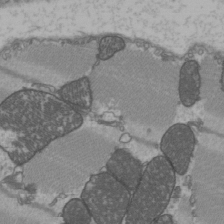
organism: C57BL Mouse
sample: Heart